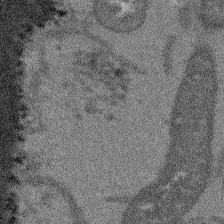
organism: Arabidopsis thaliana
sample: Root tip